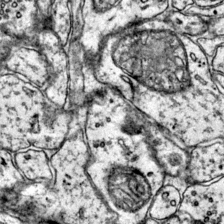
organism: Mouse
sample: Primary visual cortex